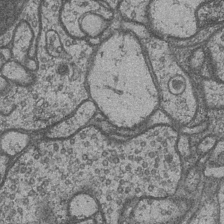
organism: Drosophila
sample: Optic medulla